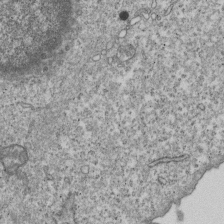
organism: Human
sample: MDA-MB-231 cells